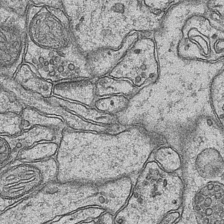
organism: Mouse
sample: CA1 Hippocampus